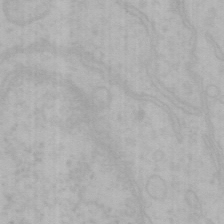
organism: Mouse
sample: Choroid plexus